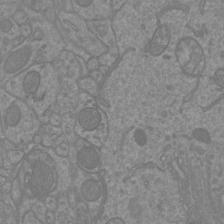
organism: Mouse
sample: Cortical neurons